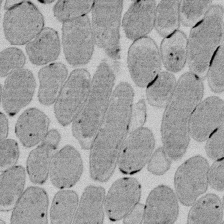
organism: E. coli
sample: Bacterial nucleoid